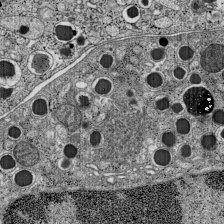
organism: C57BL Mouse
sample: Pancreatic islet